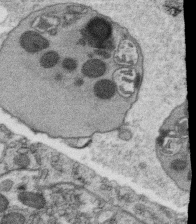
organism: C. elegans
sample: C. elegans oocyte; sperm cells